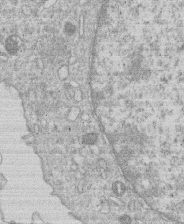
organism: Human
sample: Macrophage cells